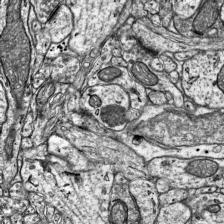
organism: Mouse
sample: Visual Cortex